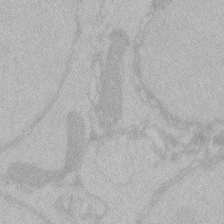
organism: Zebrafish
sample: Macrophage infected with Toxoplasma gondii